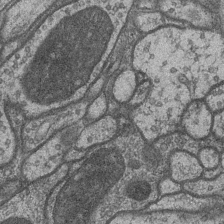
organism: Drosophila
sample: Optic medulla